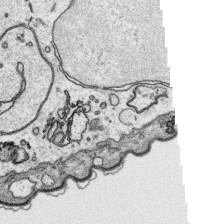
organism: Platynereis dumerilii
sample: Parapodia